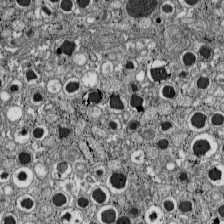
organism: C57BL Mouse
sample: Pancreatic islet